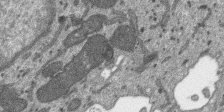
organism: Human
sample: Lung epithelial cells infected with SARS-CoV-2